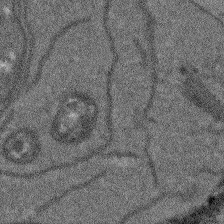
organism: Arabidopsis thaliana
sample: Root tip